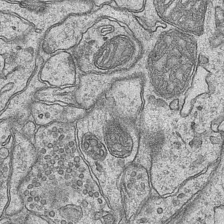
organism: Mouse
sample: CA1 Hippocampus